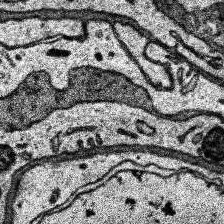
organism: Human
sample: Temporal Lobe